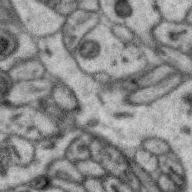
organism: Zebra finch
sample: Brain